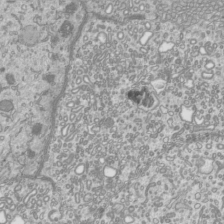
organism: Mouse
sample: Cilia; mouse epididymis